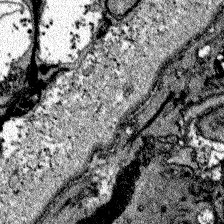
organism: Zebrafish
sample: Larval olfactory bulb